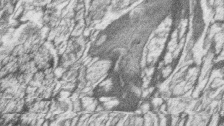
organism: Zebrafish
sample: synaptic ribbons in rod cells and cone cells